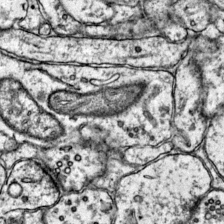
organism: Mouse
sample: Primary visual cortex